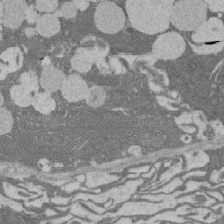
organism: Rat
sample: Salivary granule